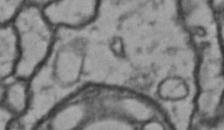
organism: Drosophila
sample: Brain